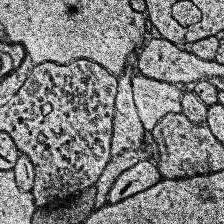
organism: Human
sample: Temporal Lobe